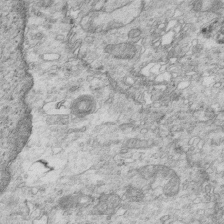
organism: Mouse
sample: Multiciliated cells